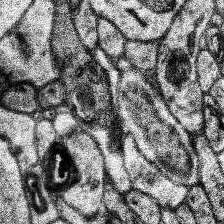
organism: Human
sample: Temporal Lobe